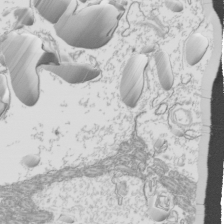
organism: Mouse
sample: Cilia; mouse epididymis